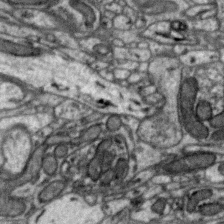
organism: Zebra finch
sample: Brain